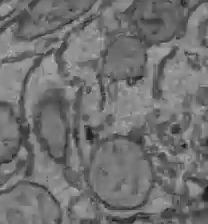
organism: C57BL Mouse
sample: Liver